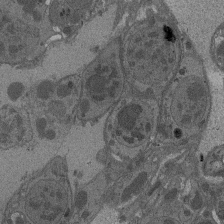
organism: Drosophila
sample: Antenna